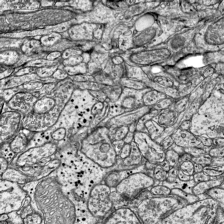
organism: Mouse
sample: Visual Cortex